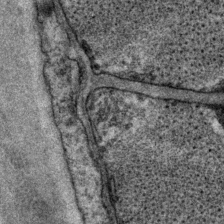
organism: P. pacificus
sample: Pharynx